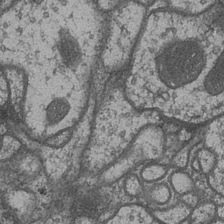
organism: Drosophila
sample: Optic medulla